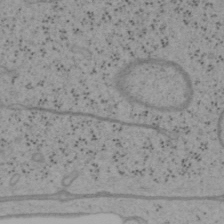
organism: Human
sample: HeLa cells